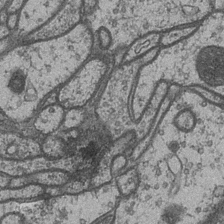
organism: Drosophila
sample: Optic medulla